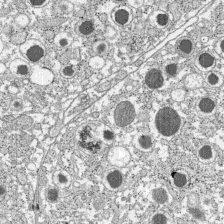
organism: C57BL Mouse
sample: Pancreatic islet